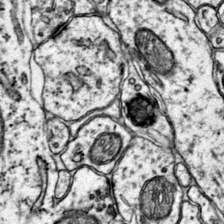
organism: Mouse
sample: Primary visual cortex